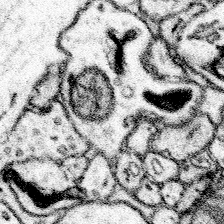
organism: Mouse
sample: Somatosensory cortex neuropil